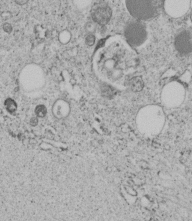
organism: C. elegans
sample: C. elegans embryo early stage